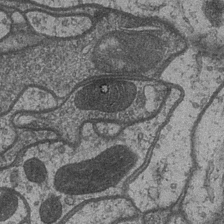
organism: Drosophila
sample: Optic medulla